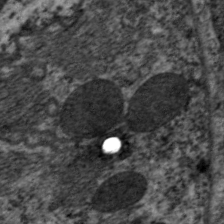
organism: C. elegans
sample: Pharynx